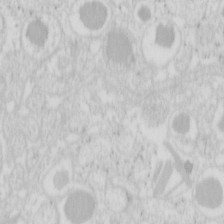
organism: Mouse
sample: Pancreas